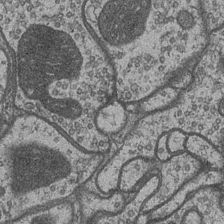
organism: Drosophila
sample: Optic medulla